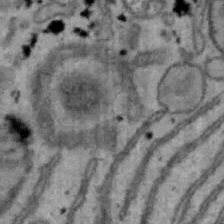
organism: Mouse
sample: Liver